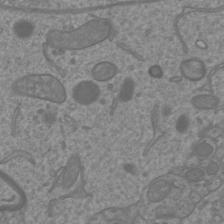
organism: Mouse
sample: Cortical neurons